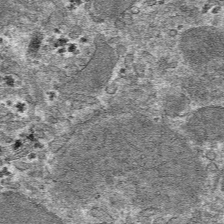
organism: Mouse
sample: Mouse hepatocytes